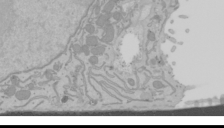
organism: Mouse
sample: Cancer cell death in ED-1 cells